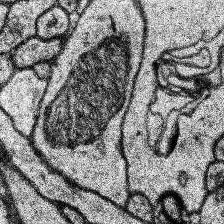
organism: Human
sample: Temporal Lobe